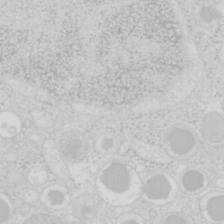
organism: Mouse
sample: Pancreas